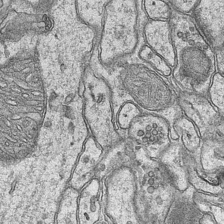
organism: Mouse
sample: CA1 Hippocampus